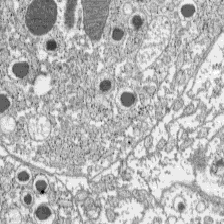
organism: C57BL Mouse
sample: Pancreatic islet